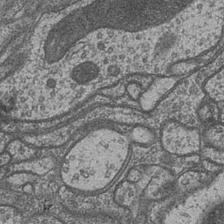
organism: Drosophila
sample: Optic medulla